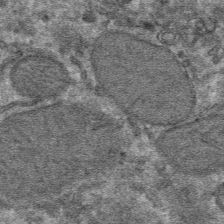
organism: Mouse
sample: Mouse hepatocytes